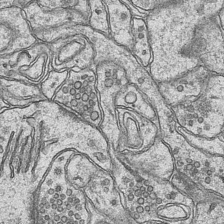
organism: Mouse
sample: CA1 Hippocampus